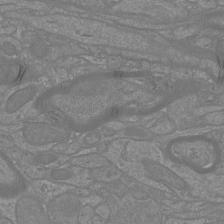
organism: Mouse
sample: Cortical neurons